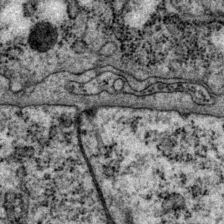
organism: P. pacificus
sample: Pharynx